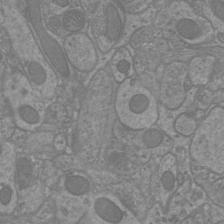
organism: Mouse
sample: Cortical neurons